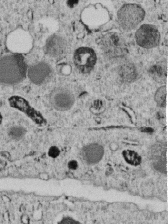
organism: C. elegans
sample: C. elegans embryo early stage